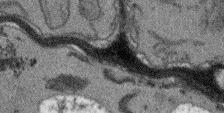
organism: Arabidopsis thaliana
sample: Root tip